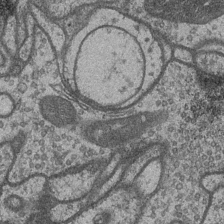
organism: Drosophila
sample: Optic medulla